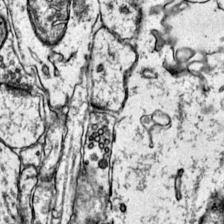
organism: Mouse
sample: Primary visual cortex